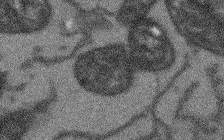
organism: Arabidopsis thaliana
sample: Root tip